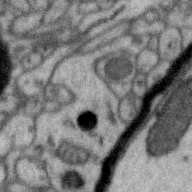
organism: Zebra finch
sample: Brain